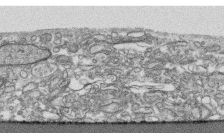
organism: Human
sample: CRL-1474